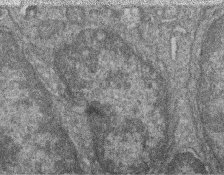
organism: Zebrafish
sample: Cilia; retinal pigment epithelium